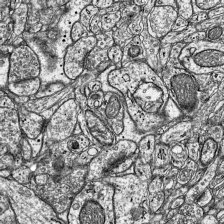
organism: Mouse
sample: Visual Cortex